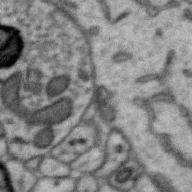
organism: Zebra finch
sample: Brain